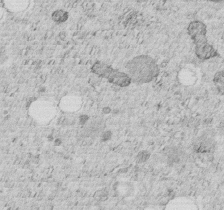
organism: C. elegans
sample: C. elegans embryo early stage